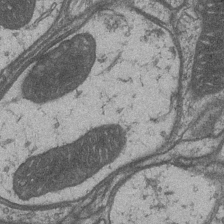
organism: Drosophila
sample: Optic medulla